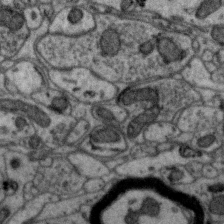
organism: Zebra finch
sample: Brain